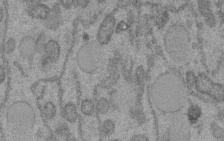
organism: C. elegans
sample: C. elegans embryo early stage